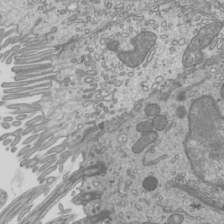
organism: Mouse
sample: Cilia; mouse epididymis